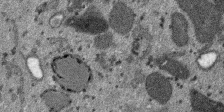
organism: Human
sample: Lung epithelial cells infected with SARS-CoV-2